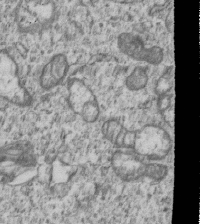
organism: Human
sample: MDA-MB-231 cells